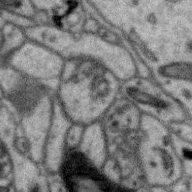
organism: Zebra finch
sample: Brain